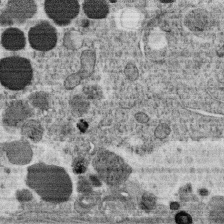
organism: C. elegans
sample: C. elegans oocyte; sperm cells